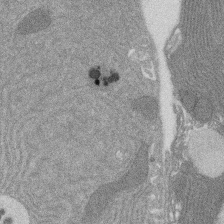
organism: Rat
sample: Salivary granule